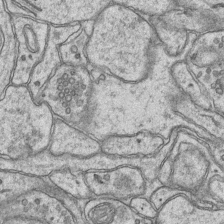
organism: Mouse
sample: CA1 Hippocampus